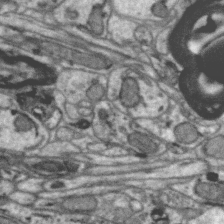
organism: Zebra finch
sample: Brain